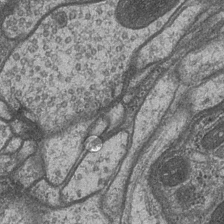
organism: Drosophila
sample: Optic medulla